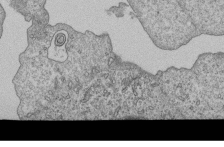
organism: Human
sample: MDA-MB-231 cells